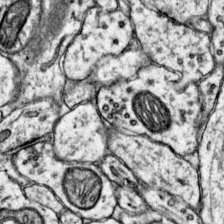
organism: Mouse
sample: Primary visual cortex